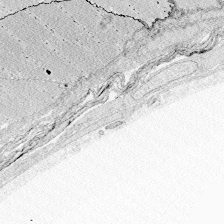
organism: Zebrafish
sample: Whole-Brain